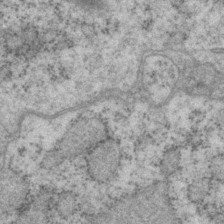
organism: P. pacificus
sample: Pharynx